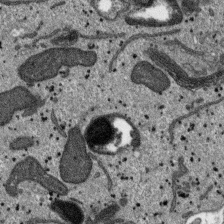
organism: Human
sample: Lung epithelial cells, uninfected (mock) control